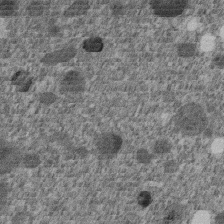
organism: C. elegans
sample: C. elegans embryo early stage